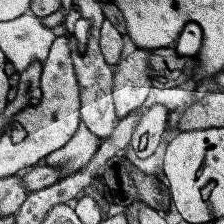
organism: Human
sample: Temporal Lobe